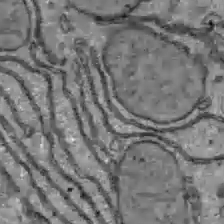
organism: C57BL Mouse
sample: Liver